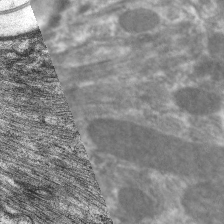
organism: C. elegans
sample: Pharynx